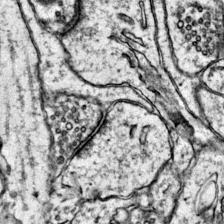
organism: Mouse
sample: Primary visual cortex